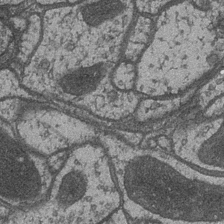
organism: Drosophila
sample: Optic medulla